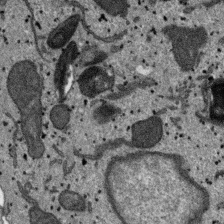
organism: Human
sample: Lung epithelial cells, uninfected (mock) control